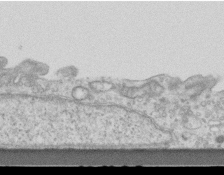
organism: Mouse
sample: Centriole in ependymal cells